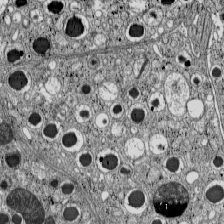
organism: C57BL Mouse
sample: Pancreatic islet